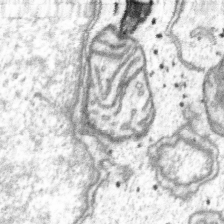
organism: Human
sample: HeLa cells